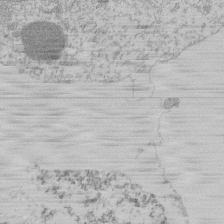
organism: Mouse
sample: Activated Pmel transgenic CD8+ T Cells